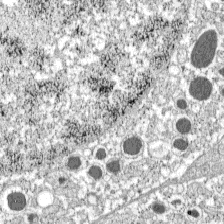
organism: C57BL Mouse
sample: Pancreatic islet